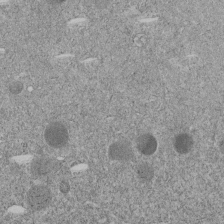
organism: C. elegans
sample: C. elegans embryo early stage